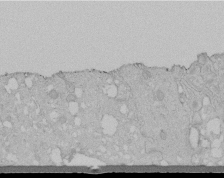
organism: Human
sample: Melanocyte Keratinocyte synapse skin construct